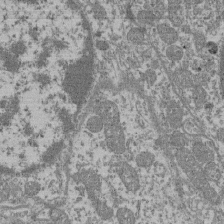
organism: Mouse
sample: Glomerulus